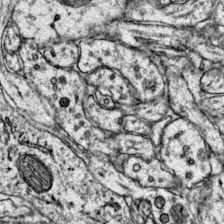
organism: Mouse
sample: Primary visual cortex